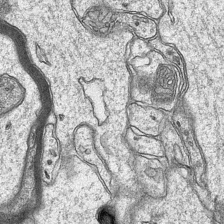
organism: Mouse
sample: CA1 Hippocampus